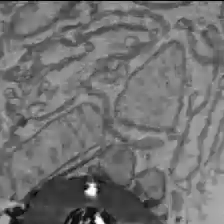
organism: C57BL Mouse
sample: Liver